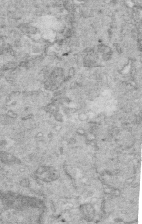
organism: Mouse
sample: Multiciliated cells